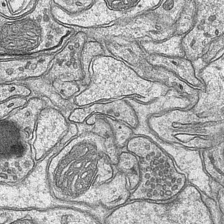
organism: Mouse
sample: CA1 Hippocampus